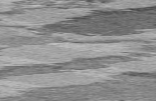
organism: C57BL Mouse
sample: Heart